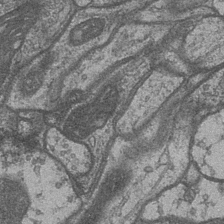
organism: Drosophila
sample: Optic medulla